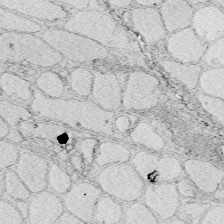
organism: Zebrafish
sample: Whole-Brain